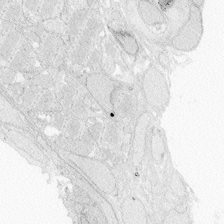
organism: Zebrafish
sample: Whole-Brain